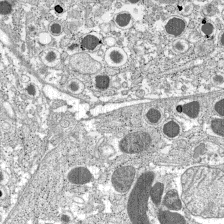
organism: C57BL Mouse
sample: Pancreatic islet